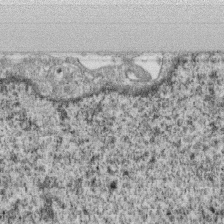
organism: African green monkey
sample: Vero E6 cells infected with SARS-CoV-2